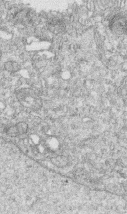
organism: Human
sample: HeLa cell HIV synapse